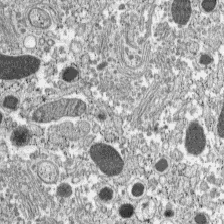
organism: C57BL Mouse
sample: Pancreatic islet